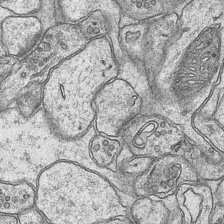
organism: Mouse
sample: CA1 Hippocampus